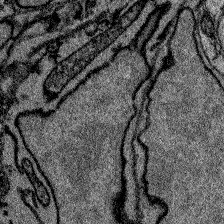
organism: Zebrafish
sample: Larval olfactory bulb